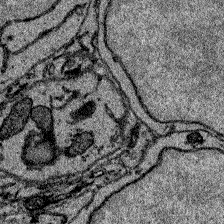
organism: Zebrafish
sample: Larval olfactory bulb